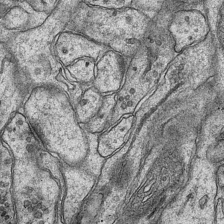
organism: Mouse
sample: CA1 Hippocampus